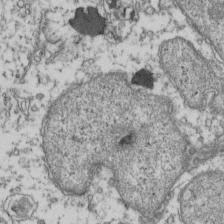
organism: Human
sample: Activated Jurkat CD4+ T cells